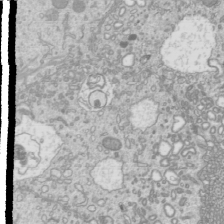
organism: Mouse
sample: Cilia; mouse epididymis